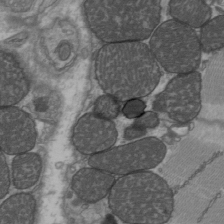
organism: C57BL Mouse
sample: Heart